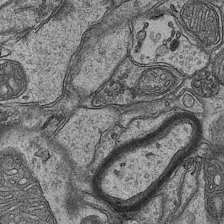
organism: Mouse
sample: CA1 Hippocampus